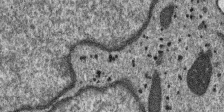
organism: Human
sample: Lung epithelial cells infected with SARS-CoV-2